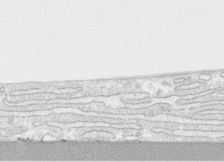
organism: Human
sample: CRL-1474